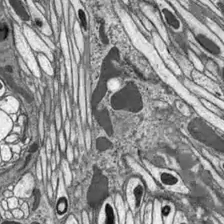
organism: Drosophila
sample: Optic lobe